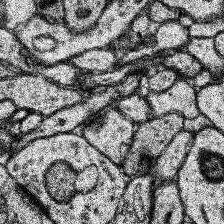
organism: Human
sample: Temporal Lobe